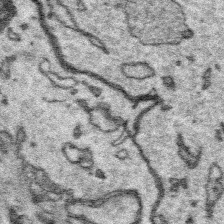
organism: Platynereis dumerilii